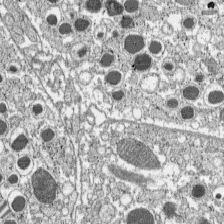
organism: C57BL Mouse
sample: Pancreatic islet